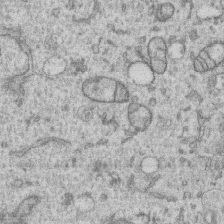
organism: Human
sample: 1205lu cells